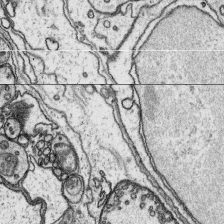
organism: Platynereis dumerilii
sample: Parapodia